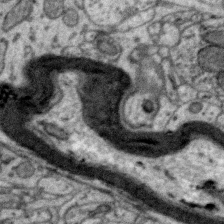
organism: Zebra finch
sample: Brain